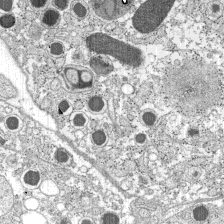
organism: C57BL Mouse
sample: Pancreatic islet